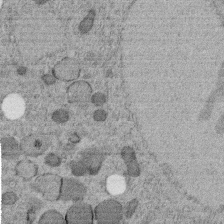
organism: C. elegans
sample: C. elegans embryo early stage